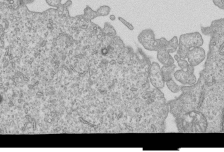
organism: Human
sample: MDA-MB-231 cells